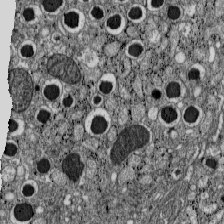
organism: C57BL Mouse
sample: Pancreatic islet